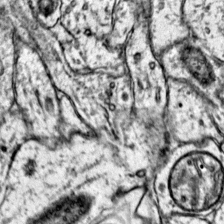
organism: Mouse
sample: Primary visual cortex